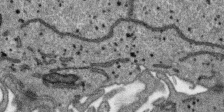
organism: Human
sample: Lung epithelial cells, uninfected (mock) control